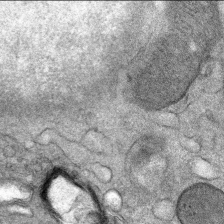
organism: Mouse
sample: Mouse Salivary gland